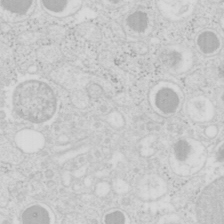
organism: Mouse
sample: Pancreas